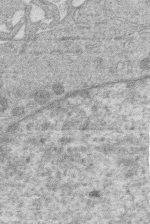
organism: Human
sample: Macrophage cells